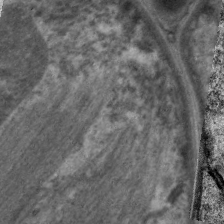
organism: C. elegans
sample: Pharynx